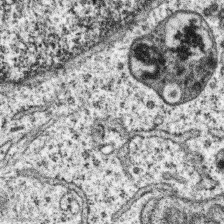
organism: Human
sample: HeLa cells